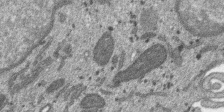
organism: Human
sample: Lung epithelial cells infected with SARS-CoV-2